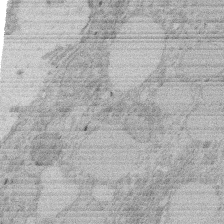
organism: Rat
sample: Salivary granule